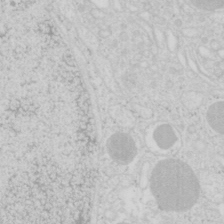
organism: Mouse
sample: Pancreas